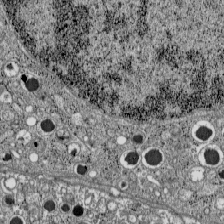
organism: C57BL Mouse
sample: Pancreatic islet